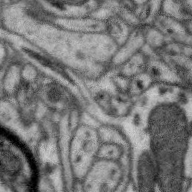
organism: Zebra finch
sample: Brain